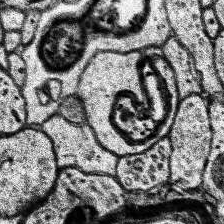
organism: Human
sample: Temporal Lobe